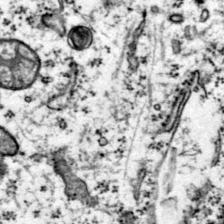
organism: Mouse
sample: Primary visual cortex